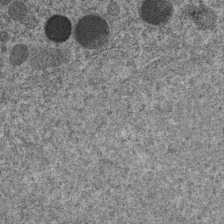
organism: C. elegans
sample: C. elegans embryo early stage